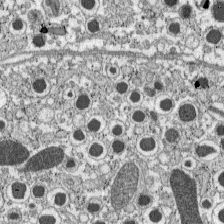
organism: C57BL Mouse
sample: Pancreatic islet